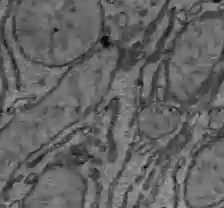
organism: C57BL Mouse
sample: Liver